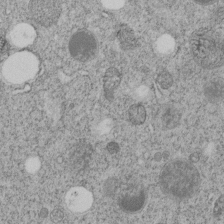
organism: C. elegans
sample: C. elegans embryo early stage